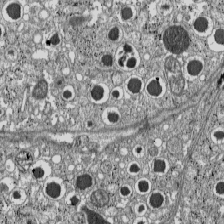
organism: C57BL Mouse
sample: Pancreatic islet